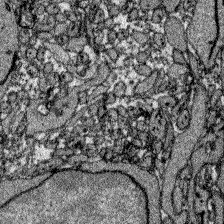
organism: Zebrafish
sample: Larval olfactory bulb